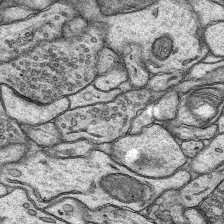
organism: Rat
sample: Hippocampus